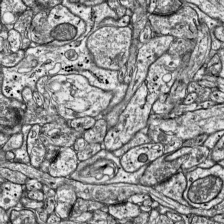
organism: Mouse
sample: Visual Cortex